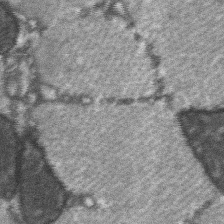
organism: C57BL Mouse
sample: Soleus